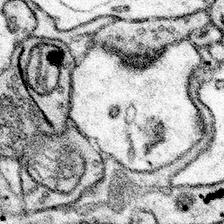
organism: Mouse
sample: Somatosensory cortex neuropil